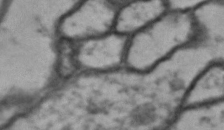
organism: Drosophila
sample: Brain